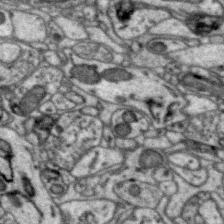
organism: Zebra finch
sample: Brain